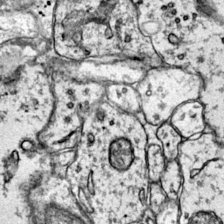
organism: Mouse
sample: Primary visual cortex